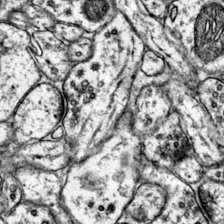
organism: Mouse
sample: Primary visual cortex